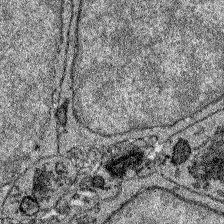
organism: Zebrafish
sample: Larval olfactory bulb